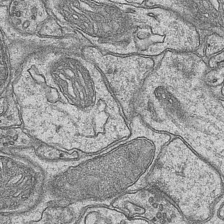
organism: Mouse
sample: CA1 Hippocampus